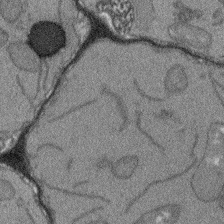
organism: Arabidopsis thaliana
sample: Root tip